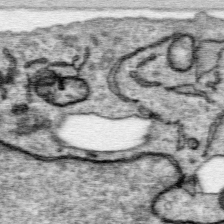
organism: Human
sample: HeLa cells